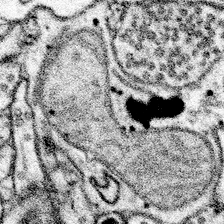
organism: Mouse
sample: Somatosensory cortex neuropil